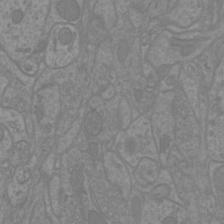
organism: Mouse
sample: Cortical neurons